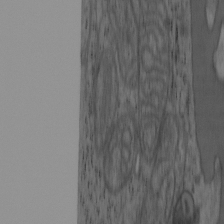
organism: Human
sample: HeLa cells